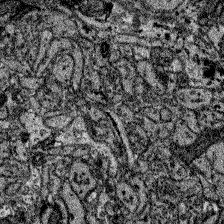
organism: Zebrafish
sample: Larval olfactory bulb